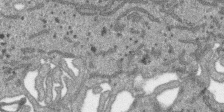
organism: Human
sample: Lung epithelial cells infected with SARS-CoV-2